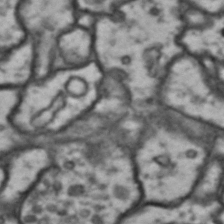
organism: Drosophila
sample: Brain